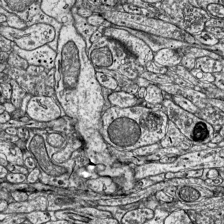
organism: Mouse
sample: Visual Cortex